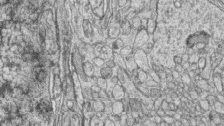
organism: Zebrafish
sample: synaptic ribbons in rod cells and cone cells